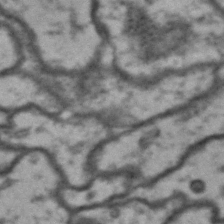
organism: Drosophila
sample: Brain